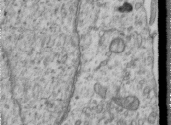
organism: Human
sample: Centriole in RPE cells